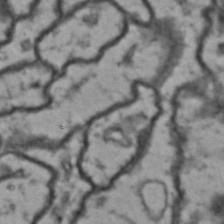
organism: Drosophila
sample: Brain